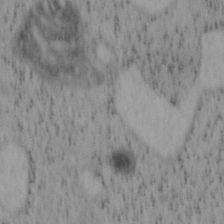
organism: Mouse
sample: OT-I killer T cells with ID8 ovarian cancer cells